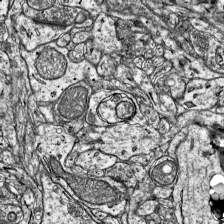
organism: Mouse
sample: Visual Cortex